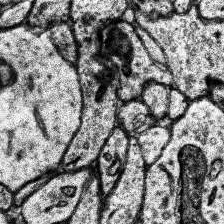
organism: Human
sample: Temporal Lobe